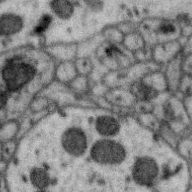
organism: Zebra finch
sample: Brain